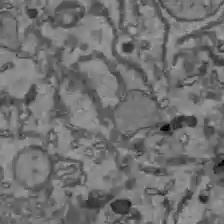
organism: C57BL Mouse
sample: Liver